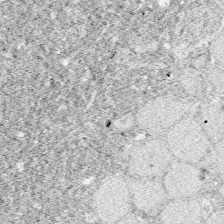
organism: Zebrafish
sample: Whole-Brain